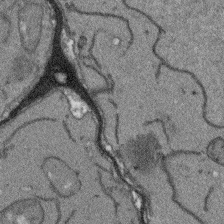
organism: Arabidopsis thaliana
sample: Root tip